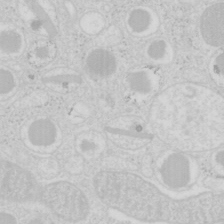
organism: Mouse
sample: Pancreas